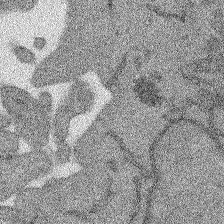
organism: Human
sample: HeLa cells